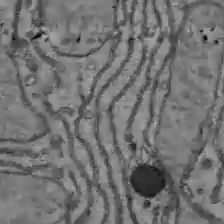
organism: C57BL Mouse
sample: Liver